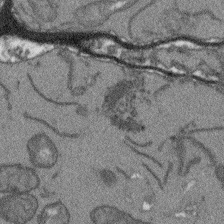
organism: Arabidopsis thaliana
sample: Root tip